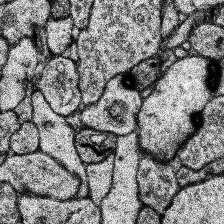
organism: Human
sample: Temporal Lobe